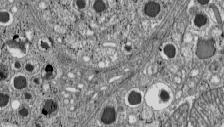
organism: C57BL Mouse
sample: Pancreatic islet